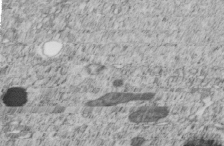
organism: C. elegans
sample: C. elegans embryo early stage